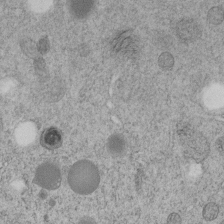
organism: C. elegans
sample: C. elegans embryo early stage